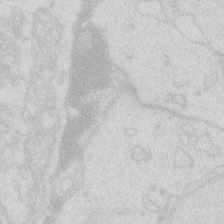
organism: Zebrafish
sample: Macrophage